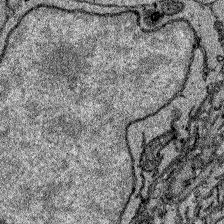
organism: Zebrafish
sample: Larval olfactory bulb